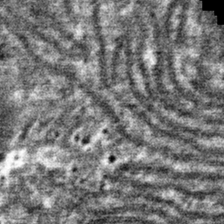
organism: Mouse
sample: Mouse hepatocytes